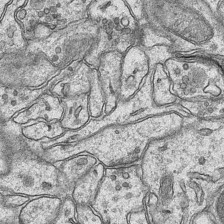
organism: Mouse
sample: CA1 Hippocampus